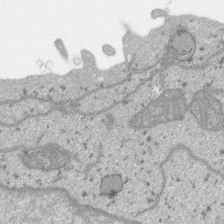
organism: Human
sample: Lung epithelial cells infected with SARS-CoV-2